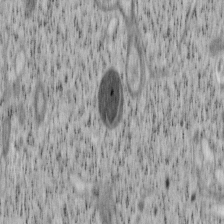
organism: Human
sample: HeLa cells